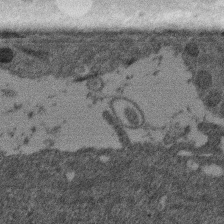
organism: Mouse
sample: Dividing mouse embryo 1 cell stage